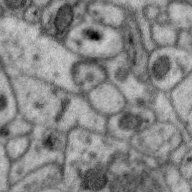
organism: Zebra finch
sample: Brain